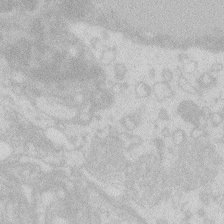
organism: Zebrafish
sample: Macrophage